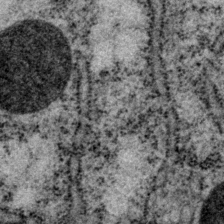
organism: P. pacificus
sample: Pharynx